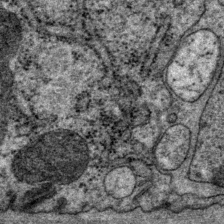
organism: P. pacificus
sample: Pharynx